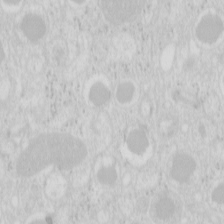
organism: Mouse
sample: Pancreas